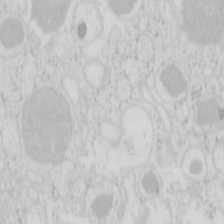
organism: Mouse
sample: Pancreas